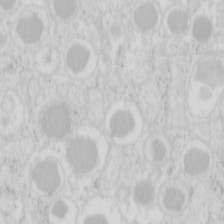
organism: Mouse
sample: Pancreas